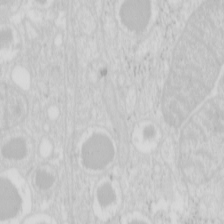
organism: Mouse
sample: Pancreas